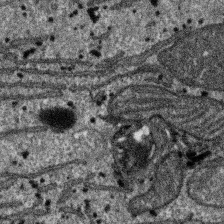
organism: Human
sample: Lung epithelial cells infected with SARS-CoV-2